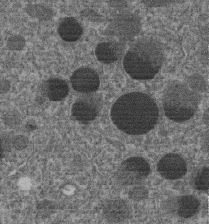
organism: C. elegans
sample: C. elegans embryo early stage